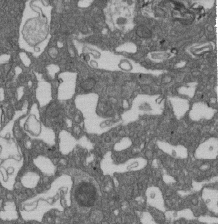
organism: Drosophila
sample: Nephrocyte